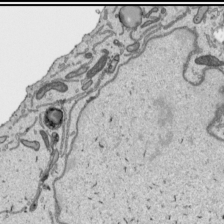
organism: Human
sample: Mitochondria in HCT116 cells